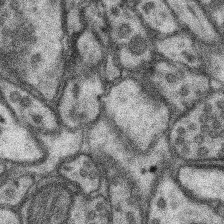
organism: Mouse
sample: Somatosensory cortex neuropil